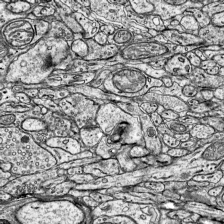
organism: Mouse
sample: Visual Cortex